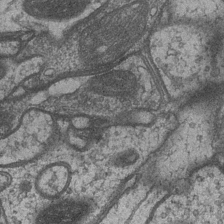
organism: Drosophila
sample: Optic medulla